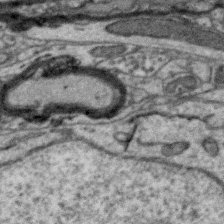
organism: Zebra finch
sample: Brain